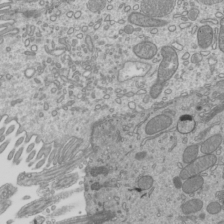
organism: Mouse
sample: Cilia; mouse epididymis